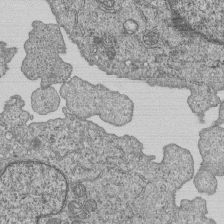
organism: Human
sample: MDA-MB-231 cells